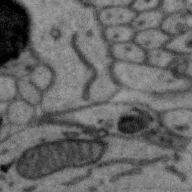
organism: Zebra finch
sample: Brain